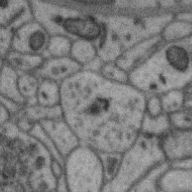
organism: Zebra finch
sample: Brain